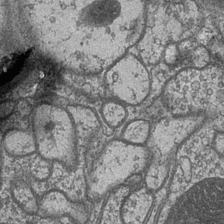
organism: Drosophila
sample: Optic medulla